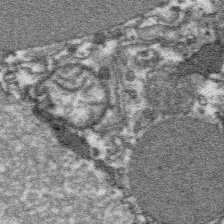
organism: Platynereis dumerilii